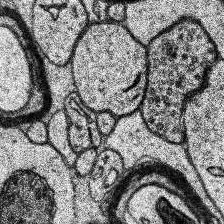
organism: Human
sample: Temporal Lobe